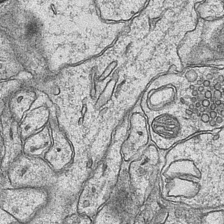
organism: Mouse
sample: CA1 Hippocampus